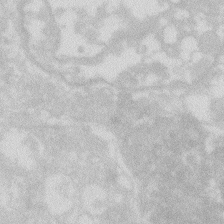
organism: Zebrafish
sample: Macrophage